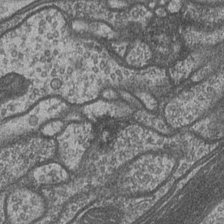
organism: Drosophila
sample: Optic medulla